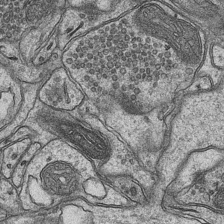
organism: Mouse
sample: CA1 Hippocampus